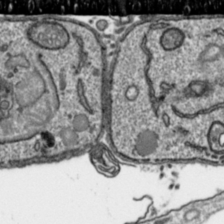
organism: Toxoplasma gondii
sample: Parasites in a vacuole inside a host cell